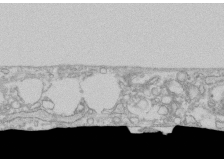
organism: Human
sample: CRL-1474